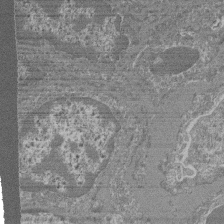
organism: Mouse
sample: Glomerulus